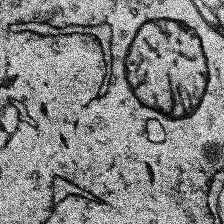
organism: Human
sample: Temporal Lobe